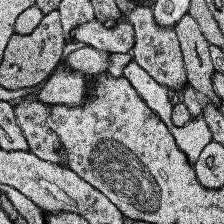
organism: Human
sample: Temporal Lobe